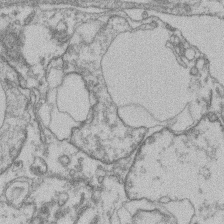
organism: Mouse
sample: T cell stromal cell synapse